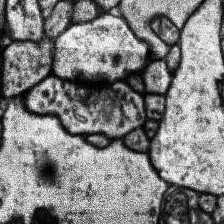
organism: Human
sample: Temporal Lobe